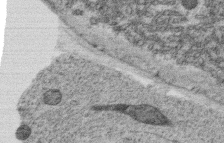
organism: C. elegans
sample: C. elegans oocyte; sperm cells